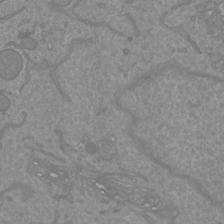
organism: Mouse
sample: Cortical neurons